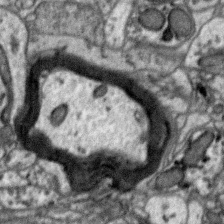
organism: Zebra finch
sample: Brain